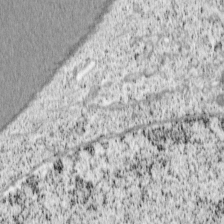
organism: African green monkey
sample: COS-7 cells